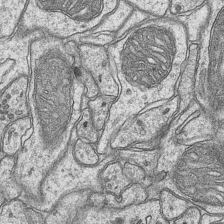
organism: Mouse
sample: CA1 Hippocampus